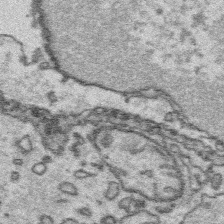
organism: Platynereis dumerilii